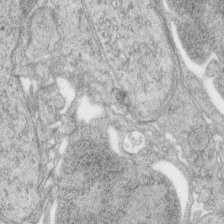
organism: Zebrafish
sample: synaptic ribbons in rod cells and cone cells